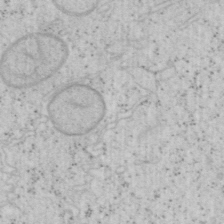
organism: Human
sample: HeLa cells